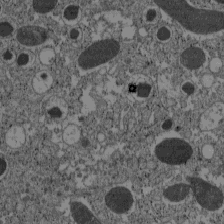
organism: C57BL Mouse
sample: Pancreatic islet